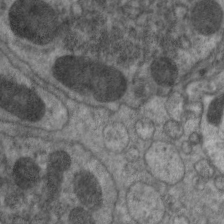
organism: C. elegans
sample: Pharynx